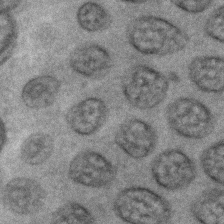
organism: C. elegans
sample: C. elegans embryo